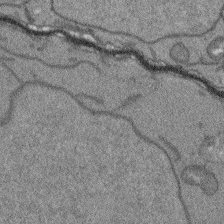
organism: Arabidopsis thaliana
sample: Root tip